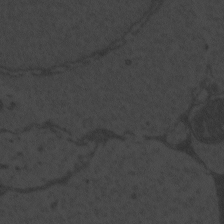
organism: Zebrafish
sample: Macrophage infected with Toxoplasma gondii